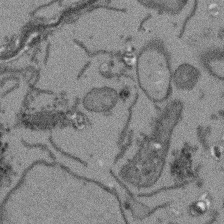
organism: Arabidopsis thaliana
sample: Root tip